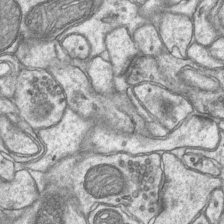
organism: Mouse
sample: CA1 Hippocampus